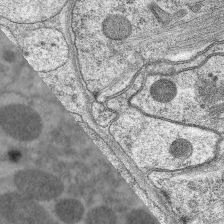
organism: C. elegans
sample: Pharynx